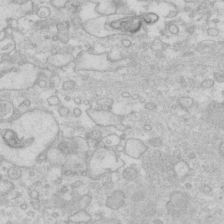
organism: Human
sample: Fibroblast cells